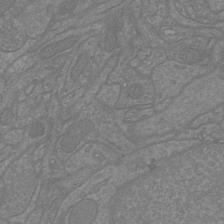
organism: Mouse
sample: Cortical neurons